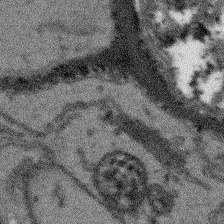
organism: Arabidopsis thaliana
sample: Root tip